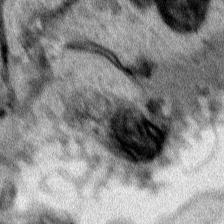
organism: Human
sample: Mitochondria in HCT116 cells